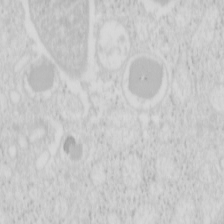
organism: Mouse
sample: Pancreas